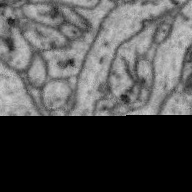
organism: Zebra finch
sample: Brain